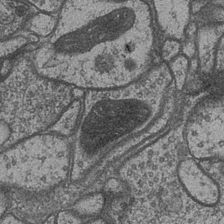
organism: Drosophila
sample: Optic medulla